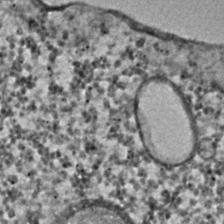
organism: C. elegans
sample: C. elegans embryo